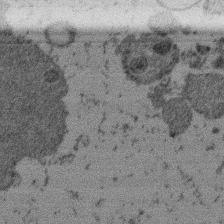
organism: Mouse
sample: Dividing mouse embryo 1 cell stage